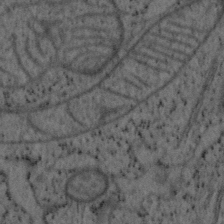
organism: Human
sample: HeLa cells